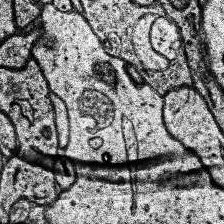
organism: Human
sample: Temporal Lobe